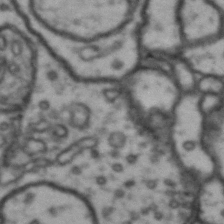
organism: Drosophila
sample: Brain